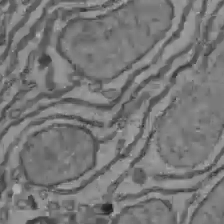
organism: C57BL Mouse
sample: Liver